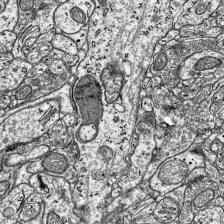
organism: Mouse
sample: Visual Cortex